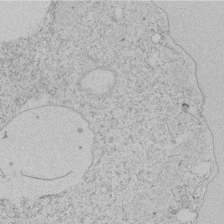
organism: Tetrahymena